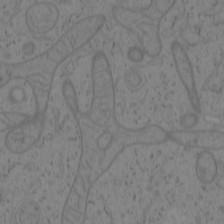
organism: Human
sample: HeLa cells